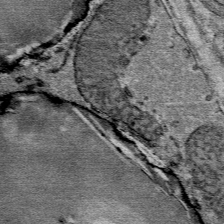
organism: Mouse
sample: Mouse Salivary gland